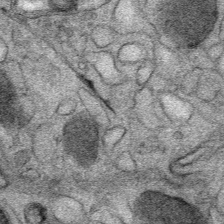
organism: Mouse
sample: Mouse Salivary gland